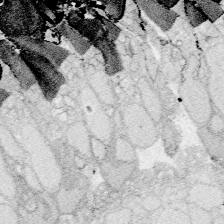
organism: Zebrafish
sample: Whole-Brain